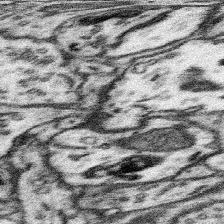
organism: Mouse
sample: Somatosensory cortex neuropil